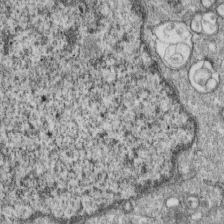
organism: African green monkey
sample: Vero E6 cells infected with SARS-CoV-2